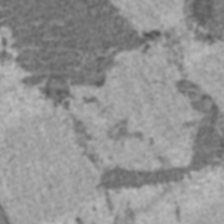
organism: C57BL Mouse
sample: Heart